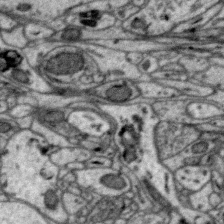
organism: Zebra finch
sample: Brain